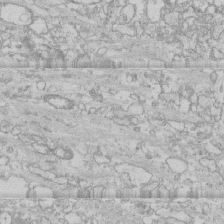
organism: Human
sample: CRL-1474